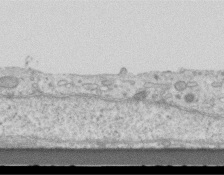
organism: Mouse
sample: Centriole in ependymal cells